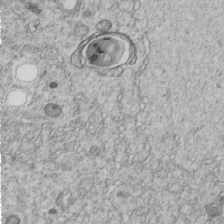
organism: C. elegans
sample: C. elegans embryo early stage